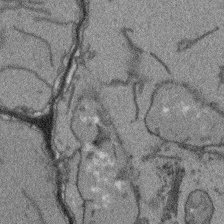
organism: Arabidopsis thaliana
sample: Root tip